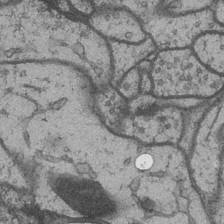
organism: Drosophila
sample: Optic medulla